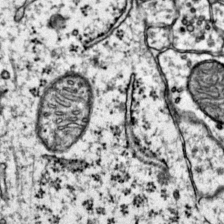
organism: Mouse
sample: Primary visual cortex